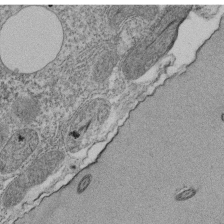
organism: Tetrahymena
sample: Cilia in tetrahymena